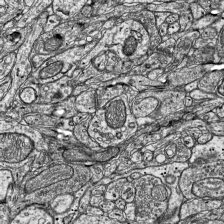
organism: Mouse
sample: Visual Cortex